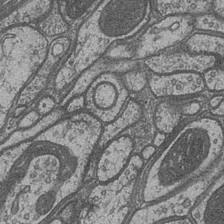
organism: Drosophila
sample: Optic medulla